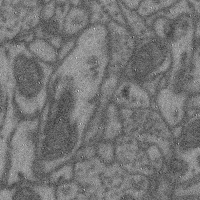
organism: Mouse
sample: Cerebral cortex